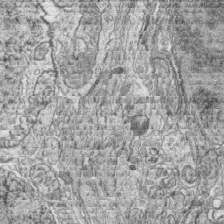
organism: Zebrafish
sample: synaptic ribbons in rod cells and cone cells